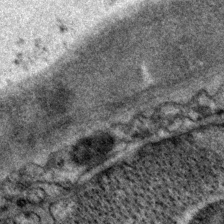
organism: P. pacificus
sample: Pharynx